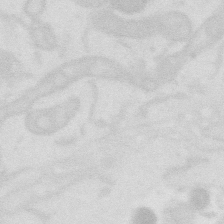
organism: Human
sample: HeLa cells